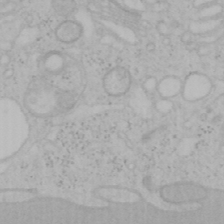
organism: Mouse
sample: OT-I killer T cells with ID8 ovarian cancer cells